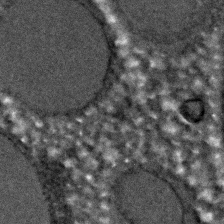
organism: C. elegans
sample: C. elegans embryo